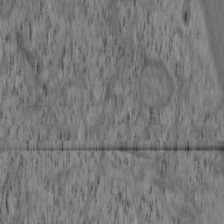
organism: Human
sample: HeLa cells